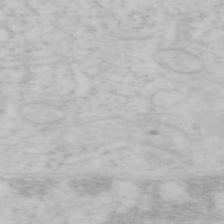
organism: Mouse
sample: OT-I killer T cells with ID8 ovarian cancer cells